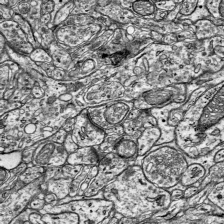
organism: Mouse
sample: Visual Cortex